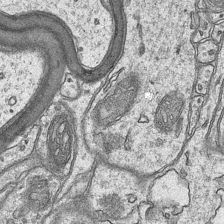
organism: Mouse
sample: CA1 Hippocampus